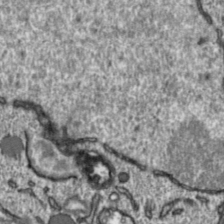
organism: Toxoplasma gondii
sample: Parasites in a vacuole inside a host cell